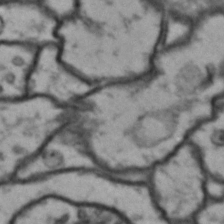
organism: Drosophila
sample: Brain